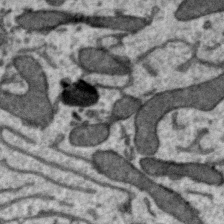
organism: Zebra finch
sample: Brain